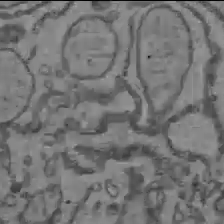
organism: C57BL Mouse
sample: Liver